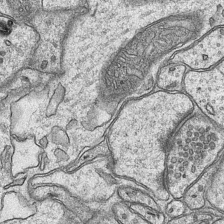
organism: Mouse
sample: CA1 Hippocampus